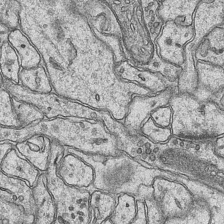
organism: Mouse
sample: CA1 Hippocampus